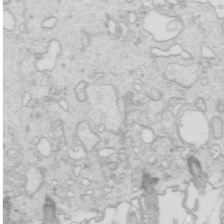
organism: Mouse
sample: Multiciliated cells